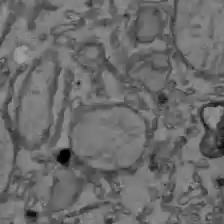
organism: C57BL Mouse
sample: Liver